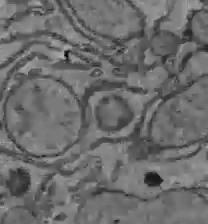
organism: C57BL Mouse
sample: Liver